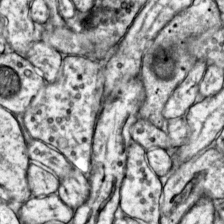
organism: Mouse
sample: Primary visual cortex